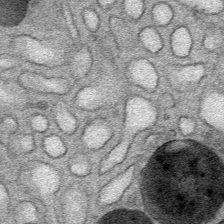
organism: Mouse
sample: Mouse Salivary gland